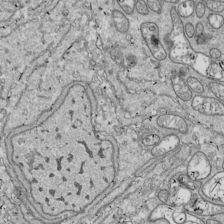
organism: Drosophila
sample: Cell division; meiosis; drosophila spermatocytes